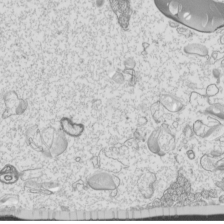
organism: Mouse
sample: Cilia; mouse epididymis